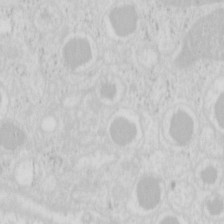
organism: Mouse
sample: Pancreas